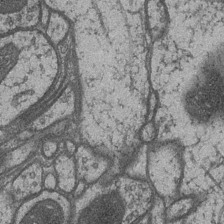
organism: Drosophila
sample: Optic medulla